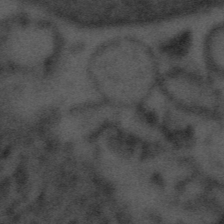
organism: Tuwongella immobilis